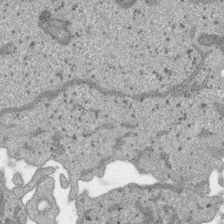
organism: Human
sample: Lung epithelial cells infected with SARS-CoV-2